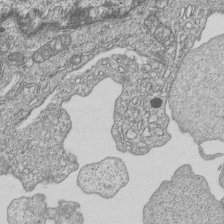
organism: Human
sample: MDA-MB-231 cells